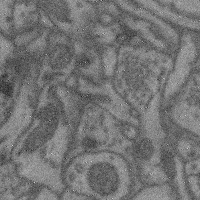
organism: Mouse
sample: Cerebral cortex